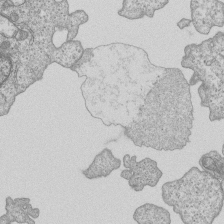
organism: Human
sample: MDA-MB-231 cells